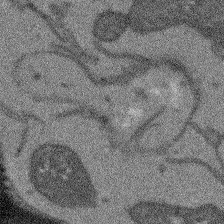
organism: Arabidopsis thaliana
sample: Root tip